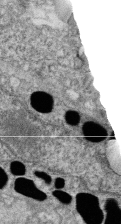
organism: Zebrafish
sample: Cilia; retinal pigment epithelium